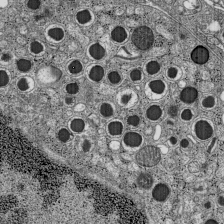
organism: C57BL Mouse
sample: Pancreatic islet